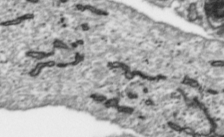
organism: Toxoplasma gondii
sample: Parasites in a vacuole inside a host cell